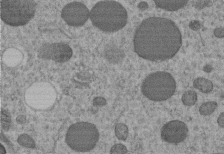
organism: C. elegans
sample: C. elegans embryo early stage